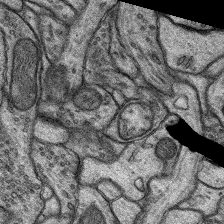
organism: Rat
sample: Hippocampus